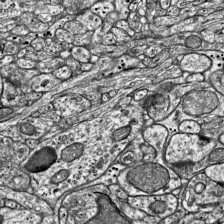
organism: Mouse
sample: Visual Cortex